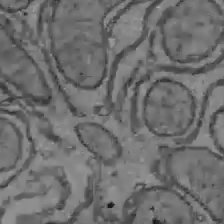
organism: C57BL Mouse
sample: Liver